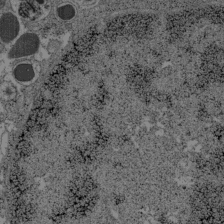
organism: C57BL Mouse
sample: Pancreatic islet